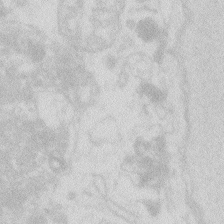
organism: Zebrafish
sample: Macrophage